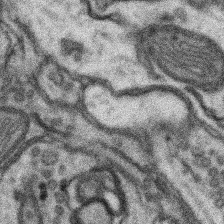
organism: Mouse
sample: Somatosensory cortex neuropil